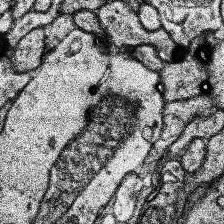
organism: Human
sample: Temporal Lobe